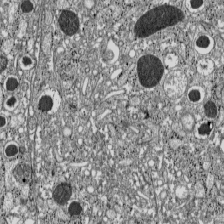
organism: C57BL Mouse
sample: Pancreatic islet